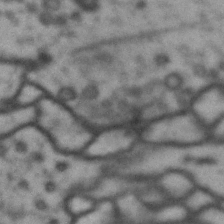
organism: Drosophila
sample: Brain